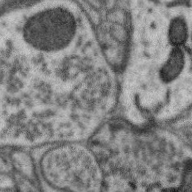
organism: Zebra finch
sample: Brain